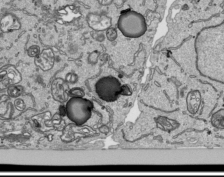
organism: Human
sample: Mitochondria in HCT116 cells